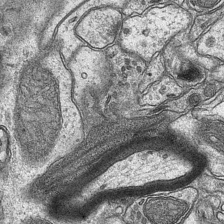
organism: Mouse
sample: CA1 Hippocampus